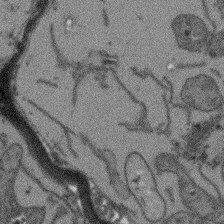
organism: Arabidopsis thaliana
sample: Root tip